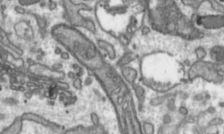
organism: Toxoplasma gondii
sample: Parasites in a vacuole inside a host cell